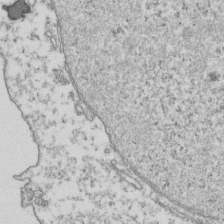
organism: Human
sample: Activated Jurkat CD4+ T cells